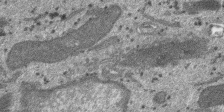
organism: Human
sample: Lung epithelial cells infected with SARS-CoV-2